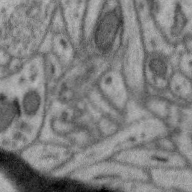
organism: Zebra finch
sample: Brain